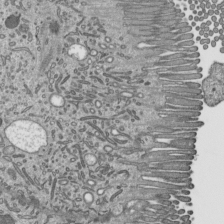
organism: Mouse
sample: Mouse epididymis efferent ductule cilia